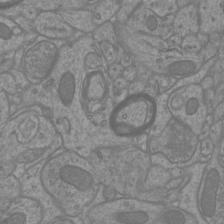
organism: Mouse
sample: Cortical neurons